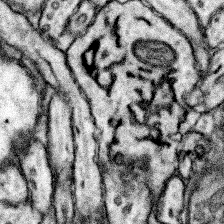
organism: Mouse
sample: Somatosensory cortex neuropil